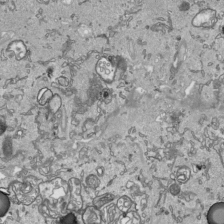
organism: Human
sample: Mitochondria in HCT116 cells